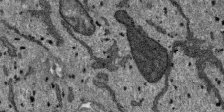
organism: Human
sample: Lung epithelial cells, uninfected (mock) control